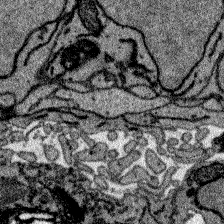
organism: Zebrafish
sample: Larval olfactory bulb